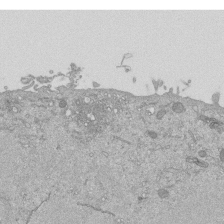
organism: Mouse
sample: ED-1 cell nuclei; centrioles